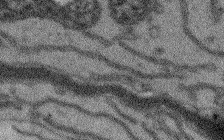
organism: Arabidopsis thaliana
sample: Root tip